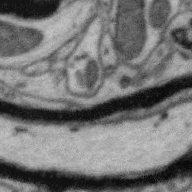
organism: Zebra finch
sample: Brain